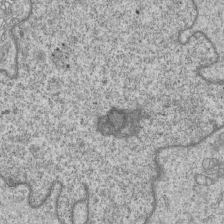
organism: Human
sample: MDA-MB-231 cells